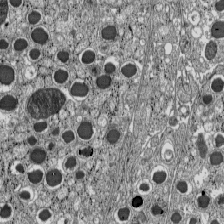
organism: C57BL Mouse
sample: Pancreatic islet